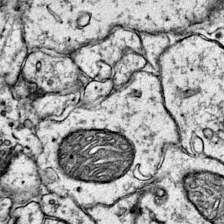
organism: Mouse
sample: Primary visual cortex